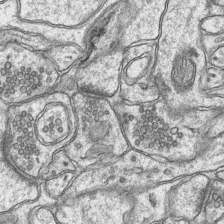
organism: Mouse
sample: CA1 Hippocampus